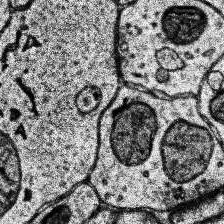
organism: Human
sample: Temporal Lobe